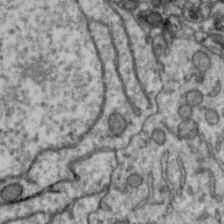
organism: Zebra finch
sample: Brain